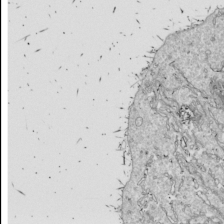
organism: Drosophila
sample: Cell division; meiosis; drosophila spermatocytes